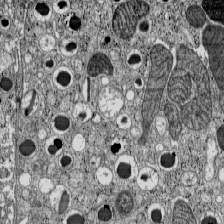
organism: C57BL Mouse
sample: Pancreatic islet